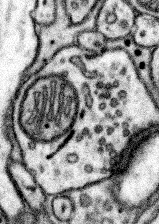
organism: Mouse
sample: Somatosensory cortex neuropil